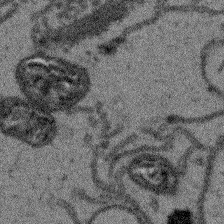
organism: Arabidopsis thaliana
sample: Root tip